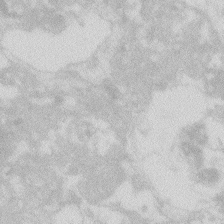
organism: Zebrafish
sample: Macrophage